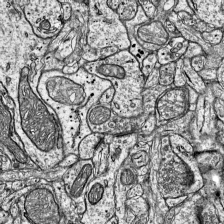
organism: Mouse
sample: Visual Cortex